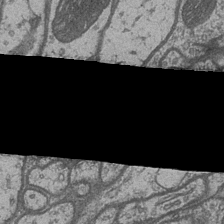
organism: Drosophila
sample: Optic medulla